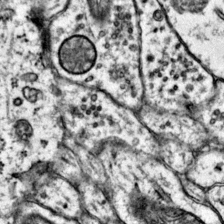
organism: Mouse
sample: Primary visual cortex